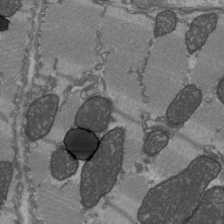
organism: C57BL Mouse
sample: Heart